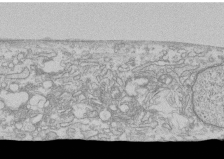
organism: Human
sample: CRL-1474